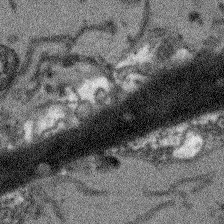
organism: Arabidopsis thaliana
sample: Root tip